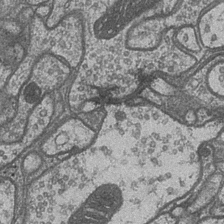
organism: Drosophila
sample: Optic medulla